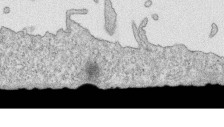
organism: Human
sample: HeLa cell HIV synapse